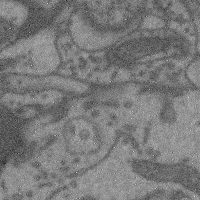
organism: Mouse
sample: Cerebral cortex